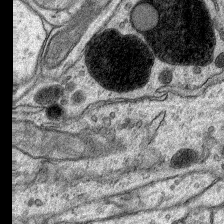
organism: Rat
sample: Hippocampus